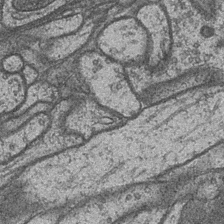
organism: Drosophila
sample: Optic medulla